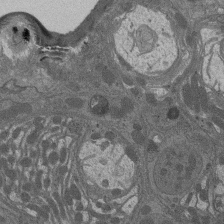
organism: Drosophila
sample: Antenna